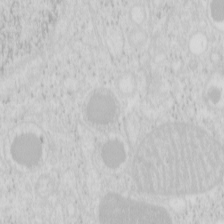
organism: Mouse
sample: Pancreas